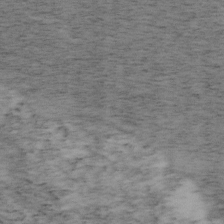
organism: Mouse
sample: OT-I killer T cells with ID8 ovarian cancer cells